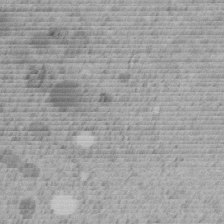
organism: C. elegans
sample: C. elegans embryo early stage